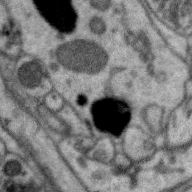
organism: Zebra finch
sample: Brain